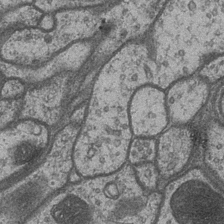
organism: Drosophila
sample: Optic medulla